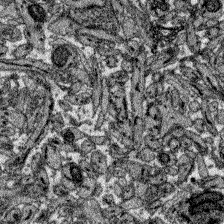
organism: Zebrafish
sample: Larval olfactory bulb